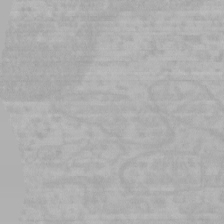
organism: Mouse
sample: Choroid plexus